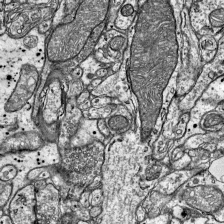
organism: Mouse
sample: Visual Cortex